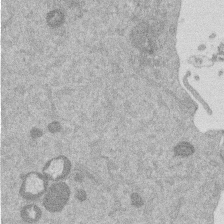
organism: Mouse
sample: Dividing mouse embryo 1 cell stage